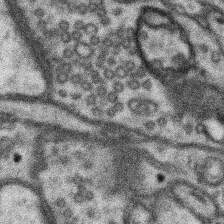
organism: Mouse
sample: Somatosensory cortex neuropil